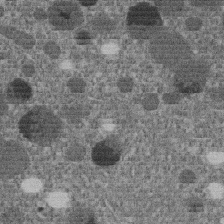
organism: C. elegans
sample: C. elegans embryo early stage